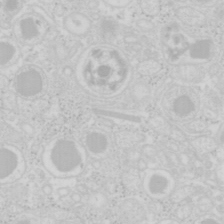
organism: Mouse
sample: Pancreas